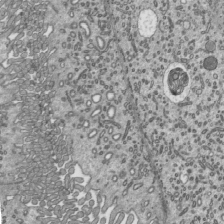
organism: Mouse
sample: Mouse epididymis efferent ductule cilia